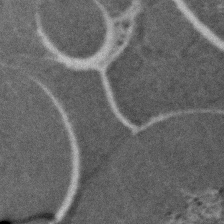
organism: Zebrafish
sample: Zebrafish embryo